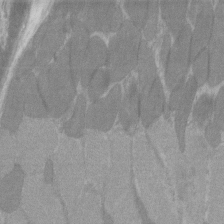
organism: C57BL Mouse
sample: Tibialis anterior muscle cell